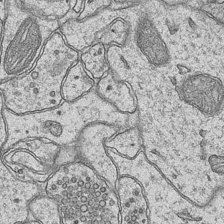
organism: Mouse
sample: CA1 Hippocampus